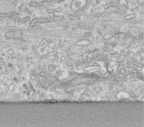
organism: Human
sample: Centriole in fibroblast cells